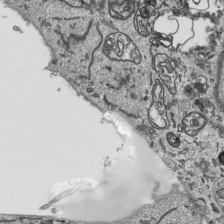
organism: Human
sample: Mitochondria in HCT116 cells